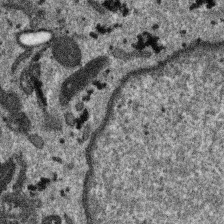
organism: Human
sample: Lung epithelial cells infected with SARS-CoV-2